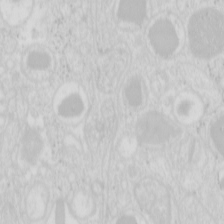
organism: Mouse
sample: Pancreas